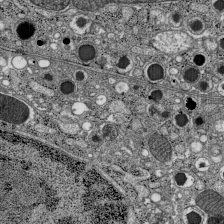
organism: C57BL Mouse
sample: Pancreatic islet